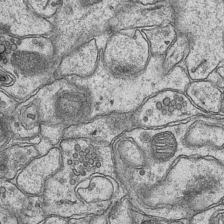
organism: Mouse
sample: CA1 Hippocampus